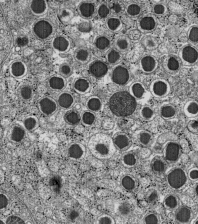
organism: C57BL Mouse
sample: Pancreatic islet